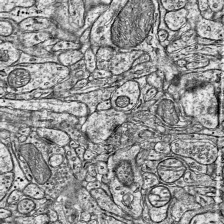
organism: Mouse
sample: Visual Cortex